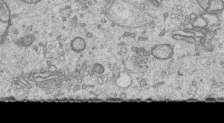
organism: Human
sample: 1205lu cells